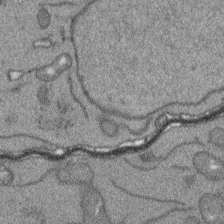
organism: Arabidopsis thaliana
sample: Root tip